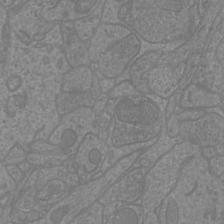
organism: Mouse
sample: Cortical neurons